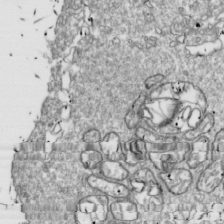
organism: Drosophila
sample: Cell division; meiosis; drosophila spermatocytes